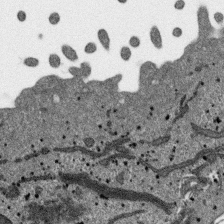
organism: Human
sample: Lung epithelial cells, uninfected (mock) control